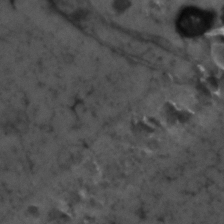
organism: Zebrafish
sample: Zebrafish embryo